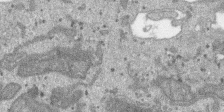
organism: Human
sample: Lung epithelial cells infected with SARS-CoV-2